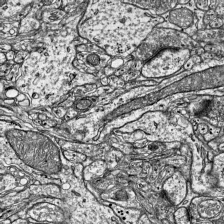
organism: Mouse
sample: Visual Cortex